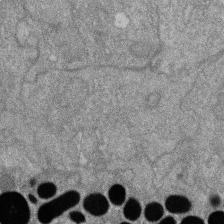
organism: Zebrafish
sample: Cilia; retinal pigment epithelium